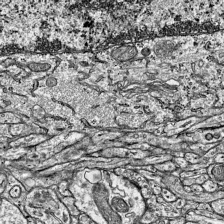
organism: Mouse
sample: Visual Cortex